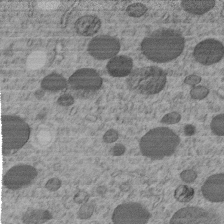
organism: C. elegans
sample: C. elegans embryo early stage